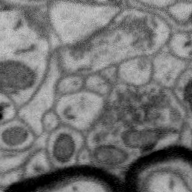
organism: Zebra finch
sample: Brain